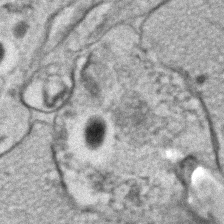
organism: C. elegans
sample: C. elegans embryo